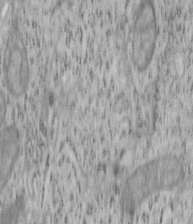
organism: Human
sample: HeLa cells